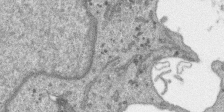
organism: Human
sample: Lung epithelial cells infected with SARS-CoV-2